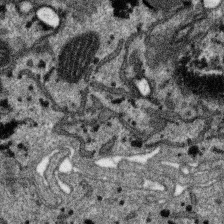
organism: Human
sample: Lung epithelial cells infected with SARS-CoV-2